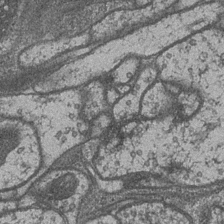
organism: Drosophila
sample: Optic medulla